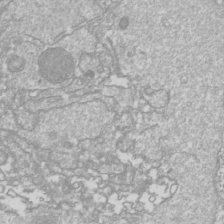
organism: Drosophila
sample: Cell division; meiosis; drosophila spermatocytes